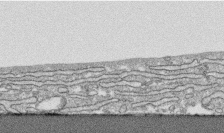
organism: Human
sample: CRL-1474